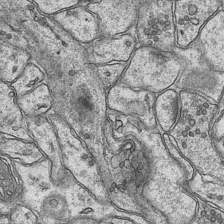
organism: Mouse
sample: CA1 Hippocampus